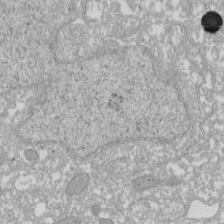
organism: Xenopus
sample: Cilia; centrioles in frog embryo cells